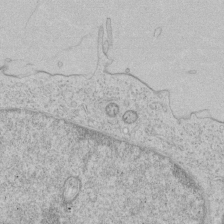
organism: Human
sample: Mitochondria in HCT116 cells